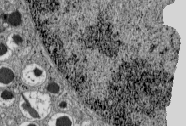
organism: C57BL Mouse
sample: Pancreatic islet